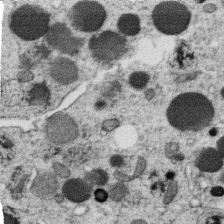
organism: C. elegans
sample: C. elegans oocyte; sperm cells